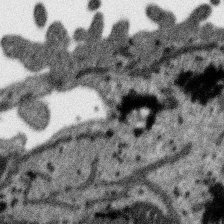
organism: Human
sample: Lung epithelial cells infected with SARS-CoV-2